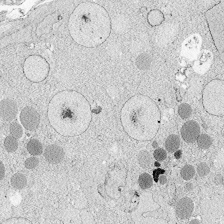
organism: Zebrafish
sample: Whole-Brain